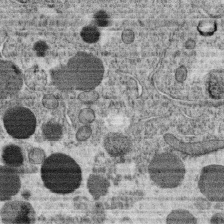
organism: C. elegans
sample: C. elegans oocyte; sperm cells